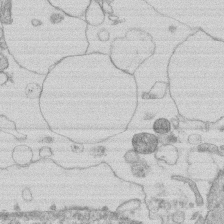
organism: Human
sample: Macrophage cells